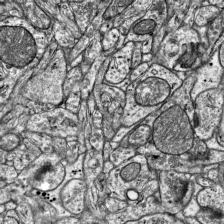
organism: Mouse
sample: Visual Cortex